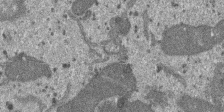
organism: Human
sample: Lung epithelial cells infected with SARS-CoV-2